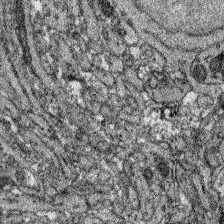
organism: Zebrafish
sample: Larval olfactory bulb